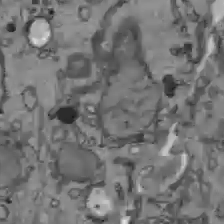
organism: C57BL Mouse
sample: Liver